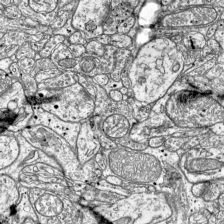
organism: Mouse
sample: Visual Cortex